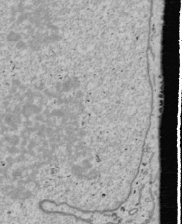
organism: Human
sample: Mitochondria in U2OS cells